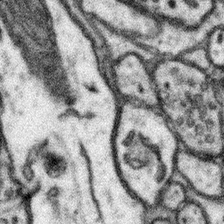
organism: Mouse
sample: Somatosensory cortex neuropil